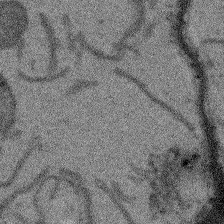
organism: Arabidopsis thaliana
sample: Root tip